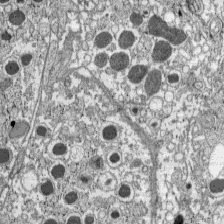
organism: C57BL Mouse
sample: Pancreatic islet